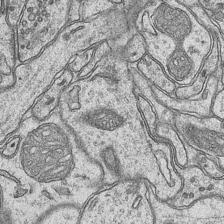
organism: Mouse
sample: CA1 Hippocampus